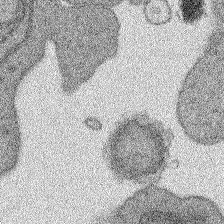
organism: Human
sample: HeLa cells